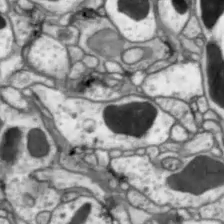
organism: Drosophila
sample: Optic lobe